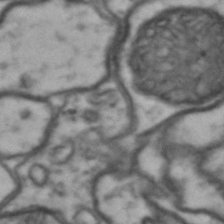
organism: Drosophila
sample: Brain